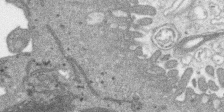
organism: Human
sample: Lung epithelial cells infected with SARS-CoV-2